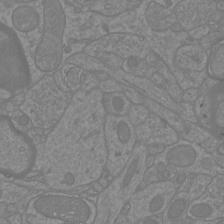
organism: Mouse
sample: Cortical neurons